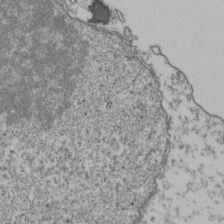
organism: Human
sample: Activated Jurkat CD4+ T cells